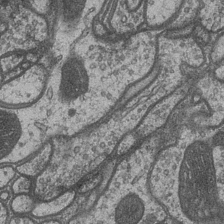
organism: Drosophila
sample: Optic medulla